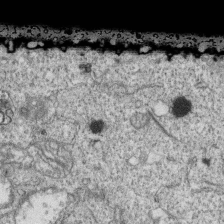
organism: Human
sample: HeLa cell HIV synapse